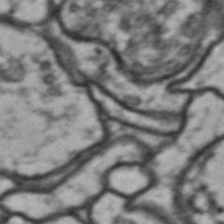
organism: Drosophila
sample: Brain